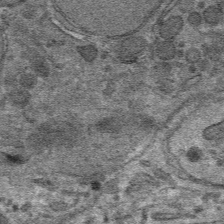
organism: Mouse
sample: Mouse hepatocytes